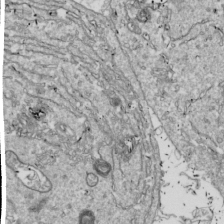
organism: Drosophila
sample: Cell division; meiosis; drosophila spermatocytes